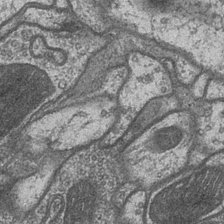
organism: Drosophila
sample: Optic medulla